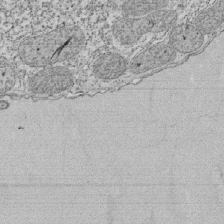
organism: Tetrahymena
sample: Cilia in tetrahymena